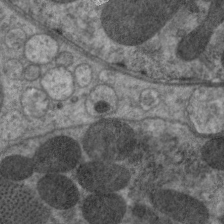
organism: C. elegans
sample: Pharynx